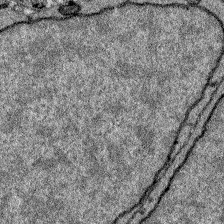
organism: Zebrafish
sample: Larval olfactory bulb